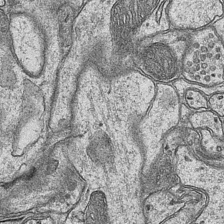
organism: Mouse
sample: CA1 Hippocampus